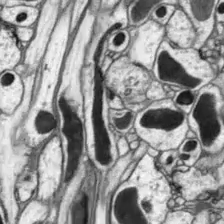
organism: Drosophila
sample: Optic lobe